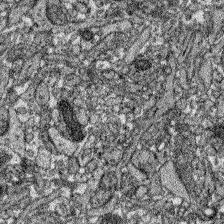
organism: Zebrafish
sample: Larval olfactory bulb